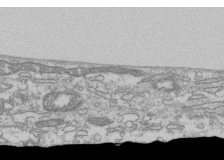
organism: Human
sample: Fibroblast cells